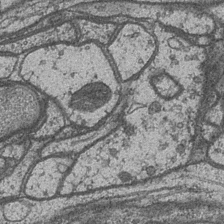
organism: Drosophila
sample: Optic medulla